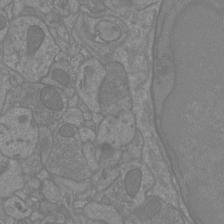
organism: Mouse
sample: Cortical neurons